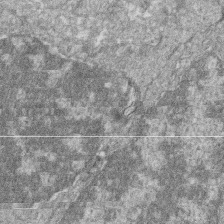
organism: Zebrafish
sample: Cilia; retinal pigment epithelium